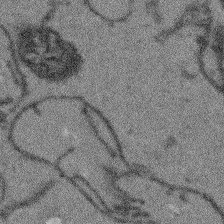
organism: Arabidopsis thaliana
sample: Root tip